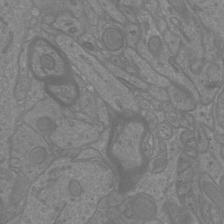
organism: Mouse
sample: Cortical neurons